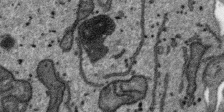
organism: Human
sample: Lung epithelial cells, uninfected (mock) control